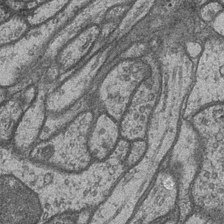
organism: Drosophila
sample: Optic medulla